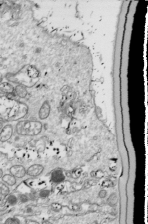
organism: Drosophila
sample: Cell division; meiosis; drosophila spermatocytes